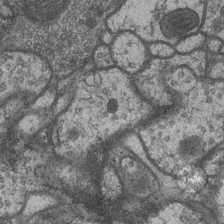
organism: Drosophila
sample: Optic medulla